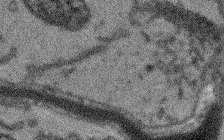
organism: Arabidopsis thaliana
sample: Root tip